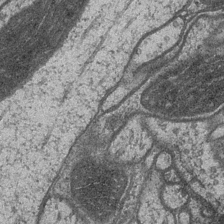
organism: Drosophila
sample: Optic medulla